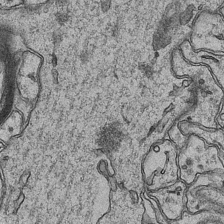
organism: Mouse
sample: CA1 Hippocampus